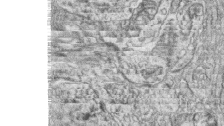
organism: Zebrafish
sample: synaptic ribbons in rod cells and cone cells